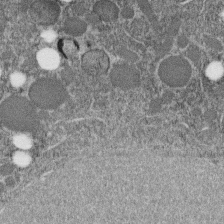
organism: C. elegans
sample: C. elegans embryo early stage